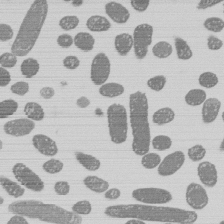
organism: E. coli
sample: Bacterial nucleoid